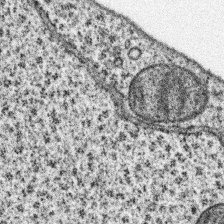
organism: Human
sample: HeLa cells